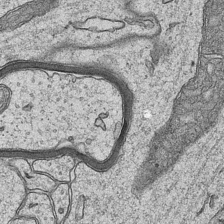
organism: Mouse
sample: CA1 Hippocampus